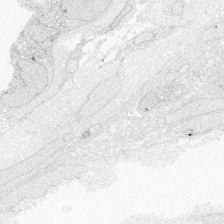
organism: Zebrafish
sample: Whole-Brain